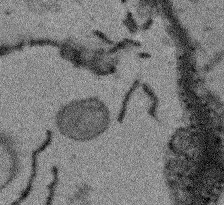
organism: Arabidopsis thaliana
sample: Root tip